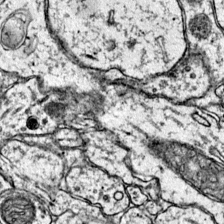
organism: Mouse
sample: Primary visual cortex